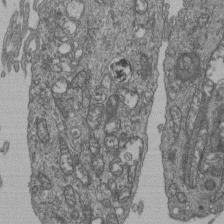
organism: Human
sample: Retinal organoid Rod and Cone cells